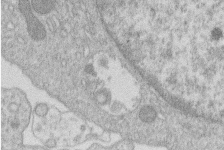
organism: Human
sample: Macrophage cells